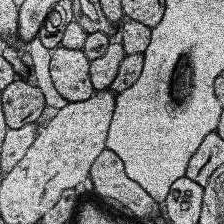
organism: Human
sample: Temporal Lobe